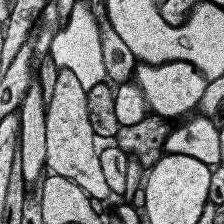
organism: Human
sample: Temporal Lobe